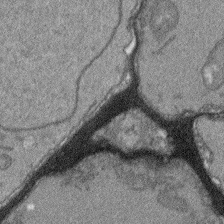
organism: Arabidopsis thaliana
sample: Root tip